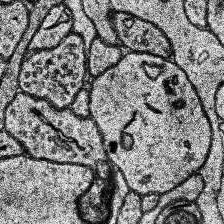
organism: Human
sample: Temporal Lobe